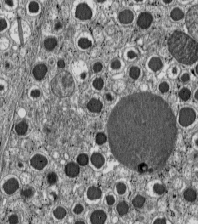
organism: C57BL Mouse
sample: Pancreatic islet